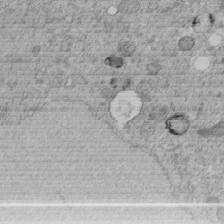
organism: C. elegans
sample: C. elegans embryo early stage